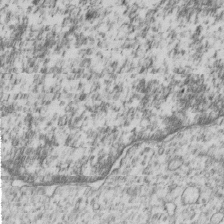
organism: Human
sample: MDA-MB-231 cells